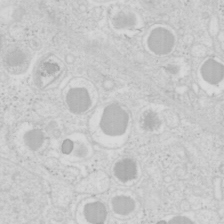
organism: Mouse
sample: Pancreas